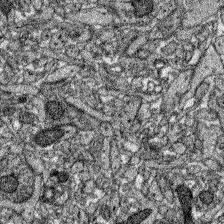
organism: Zebrafish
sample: Larval olfactory bulb